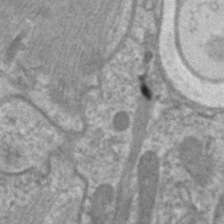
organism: C. elegans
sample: Pharynx